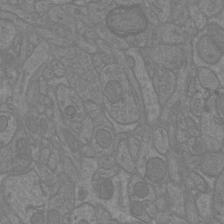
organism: Mouse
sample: Cortical neurons